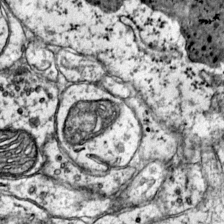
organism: Mouse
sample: Primary visual cortex